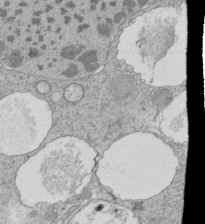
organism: Tetrahymena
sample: Cilia in tetrahymena